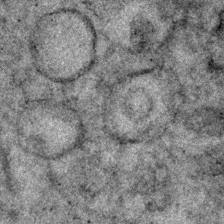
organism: Human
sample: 1205lu cells